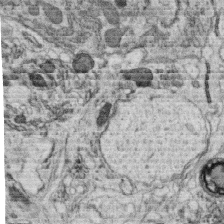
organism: C. elegans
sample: C. elegans oocyte; sperm cells